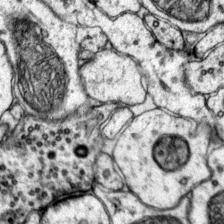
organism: Mouse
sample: Primary visual cortex